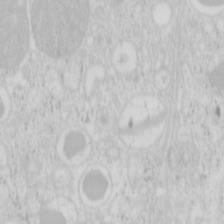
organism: Mouse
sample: Pancreas